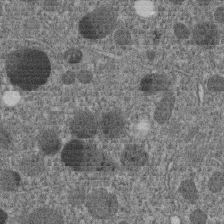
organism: C. elegans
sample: C. elegans embryo early stage